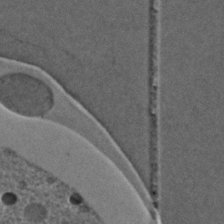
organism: C. elegans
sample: C. elegans embryo